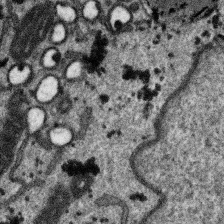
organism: Human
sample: Lung epithelial cells infected with SARS-CoV-2